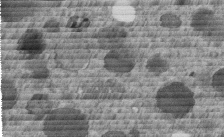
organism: C. elegans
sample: C. elegans embryo early stage